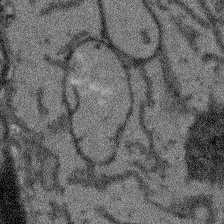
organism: Arabidopsis thaliana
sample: Root tip